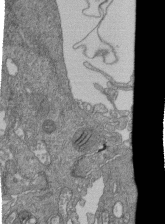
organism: Human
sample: Retinal organoid Rod and Cone cells